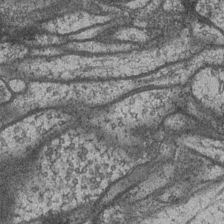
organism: Drosophila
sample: Optic medulla